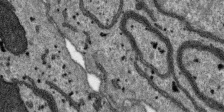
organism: Human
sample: Lung epithelial cells, uninfected (mock) control